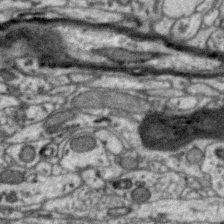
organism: Zebra finch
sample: Brain